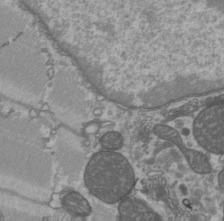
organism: C57BL Mouse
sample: Heart